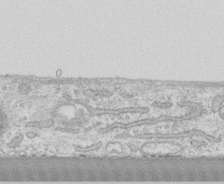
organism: Human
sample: CRL-1474